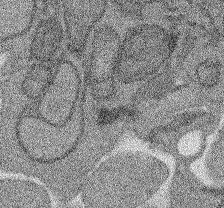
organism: Human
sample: HeLa cells